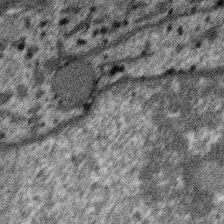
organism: Human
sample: Lung epithelial cells infected with SARS-CoV-2